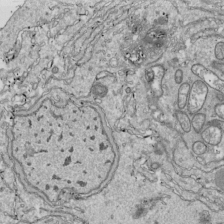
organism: Drosophila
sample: Cell division; meiosis; drosophila spermatocytes